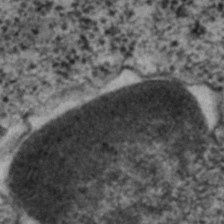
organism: C. elegans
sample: C. elegans embryo